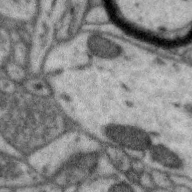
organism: Zebra finch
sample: Brain